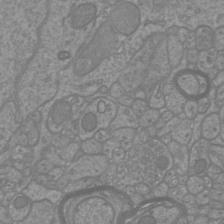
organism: Mouse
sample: Cortical neurons